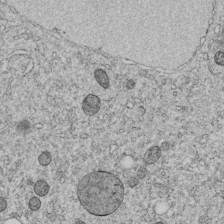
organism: C. elegans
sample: C. elegans embryo early stage